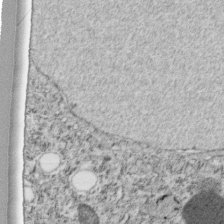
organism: C. elegans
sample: C. elegans embryo early stage